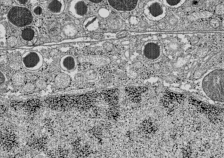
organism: C57BL Mouse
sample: Pancreatic islet